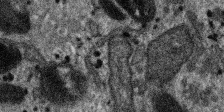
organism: Human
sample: Lung epithelial cells infected with SARS-CoV-2